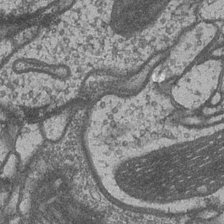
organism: Drosophila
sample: Optic medulla